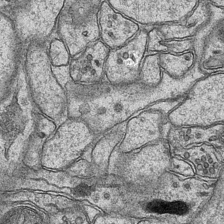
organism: Mouse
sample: CA1 Hippocampus